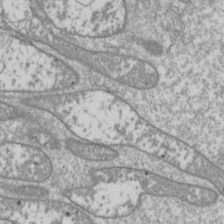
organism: Drosophila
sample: Cell division; meiosis; drosophila spermatocytes